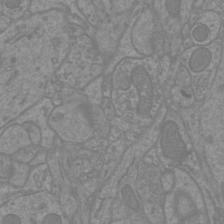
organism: Mouse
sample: Cortical neurons